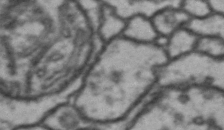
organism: Drosophila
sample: Brain